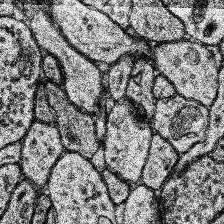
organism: Human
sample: Temporal Lobe